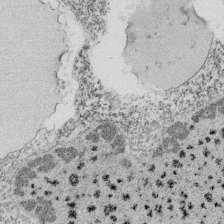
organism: Tetrahymena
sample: Cilia in tetrahymena